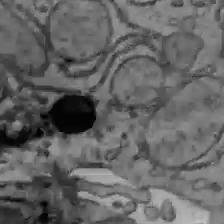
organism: C57BL Mouse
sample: Liver